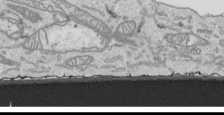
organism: Human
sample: Mitochondria in HCT116 cells